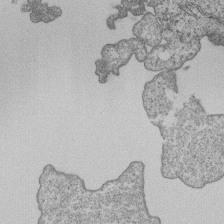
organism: Human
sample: MDA-MB-231 cells